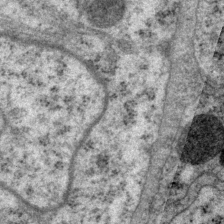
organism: P. pacificus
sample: Pharynx